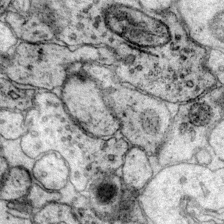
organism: Mouse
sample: Primary visual cortex